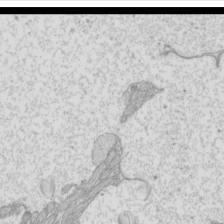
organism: Mouse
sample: Cilia; mouse epididymis